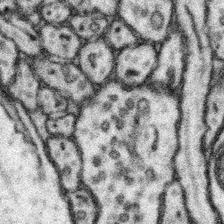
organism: Mouse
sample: Somatosensory cortex neuropil